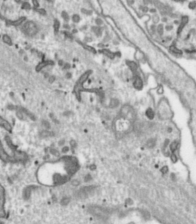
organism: Toxoplasma gondii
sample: Parasites in a vacuole inside a host cell